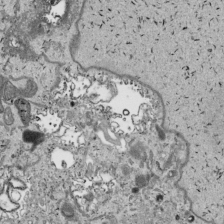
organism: Human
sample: Mitochondria in HCT116 cells